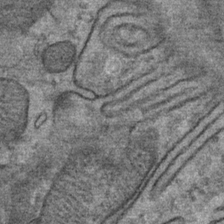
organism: Mouse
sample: Mouse Salivary gland